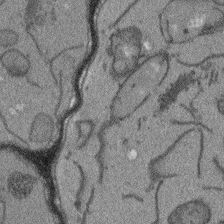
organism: Arabidopsis thaliana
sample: Root tip